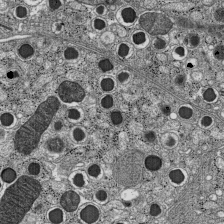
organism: C57BL Mouse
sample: Pancreatic islet